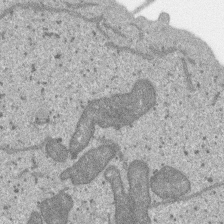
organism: Human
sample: Lung epithelial cells infected with SARS-CoV-2